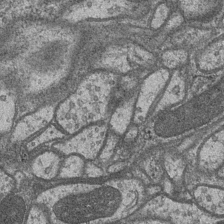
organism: Drosophila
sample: Optic medulla